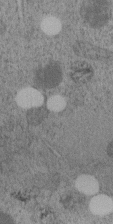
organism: C. elegans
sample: C. elegans embryo early stage